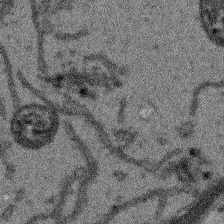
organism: Arabidopsis thaliana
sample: Root tip